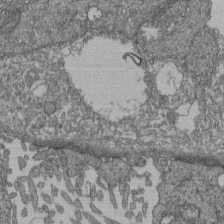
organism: Human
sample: Retinal organoid Rod and Cone cells